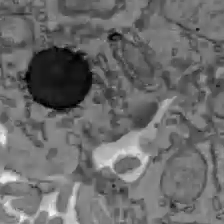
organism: C57BL Mouse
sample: Liver